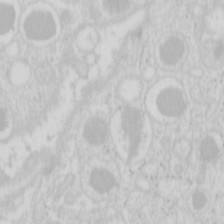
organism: Mouse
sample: Pancreas